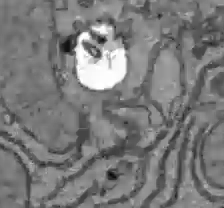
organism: C57BL Mouse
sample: Liver